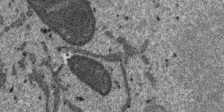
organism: Human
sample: Lung epithelial cells infected with SARS-CoV-2